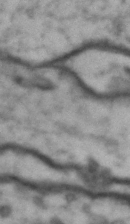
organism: Drosophila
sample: Brain